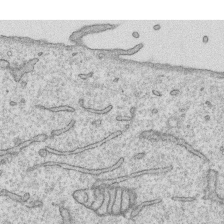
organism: Human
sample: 1205lu cells